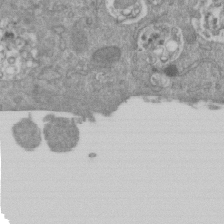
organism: Mouse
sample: ED-1 cell nuclei; centrioles